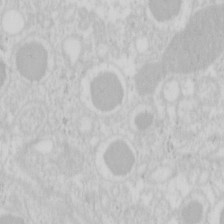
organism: Mouse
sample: Pancreas